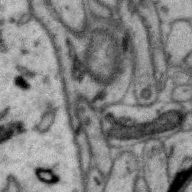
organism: Zebra finch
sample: Brain